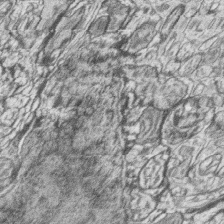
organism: Zebrafish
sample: synaptic ribbons in rod cells and cone cells